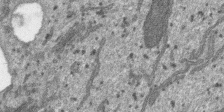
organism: Human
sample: Lung epithelial cells infected with SARS-CoV-2